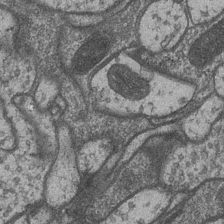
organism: Drosophila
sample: Optic medulla